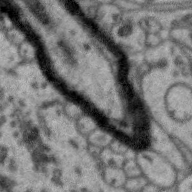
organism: Zebra finch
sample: Brain